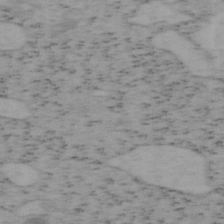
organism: Mouse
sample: OT-I killer T cells with ID8 ovarian cancer cells